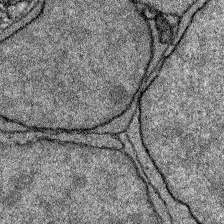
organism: Zebrafish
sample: Larval olfactory bulb